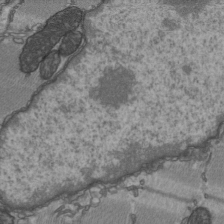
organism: C57BL Mouse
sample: Heart